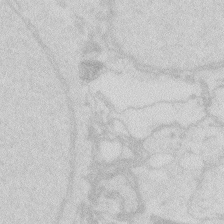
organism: Zebrafish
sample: Macrophage